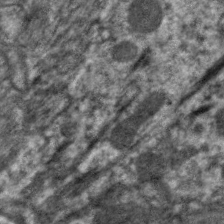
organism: C. elegans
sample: Pharynx